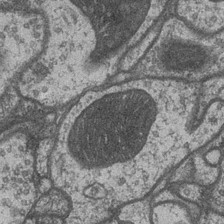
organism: Drosophila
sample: Optic medulla